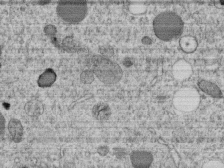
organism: C. elegans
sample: C. elegans embryo early stage